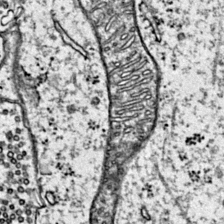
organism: Mouse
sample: Primary visual cortex